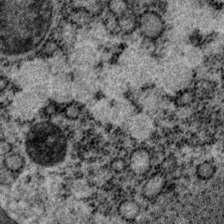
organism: P. pacificus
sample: Pharynx